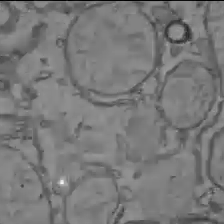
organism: C57BL Mouse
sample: Liver